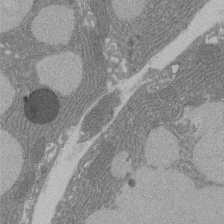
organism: Rat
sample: Salivary granule